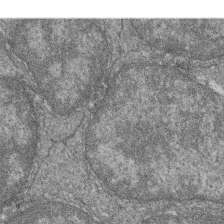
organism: Zebrafish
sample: Cilia; retinal pigment epithelium